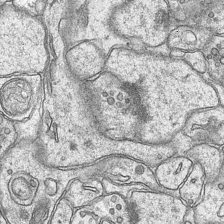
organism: Mouse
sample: CA1 Hippocampus